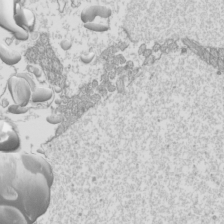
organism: Mouse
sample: Cilia; mouse epididymis